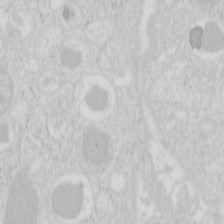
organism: Mouse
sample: Pancreas